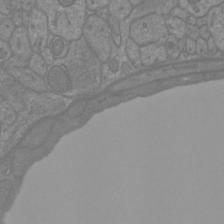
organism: Mouse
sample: Cortical neurons